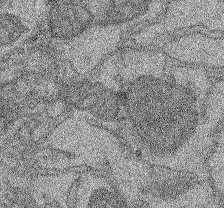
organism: Human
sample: HeLa cells